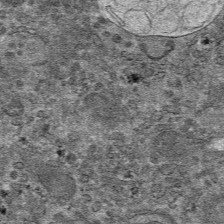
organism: Mouse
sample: Mouse hepatocytes